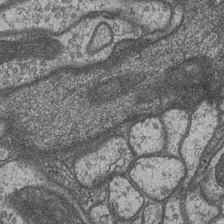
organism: Drosophila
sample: Optic medulla